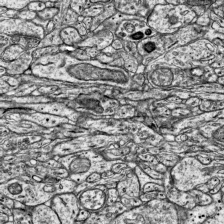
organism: Mouse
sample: Visual Cortex